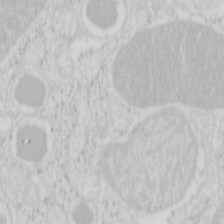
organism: Mouse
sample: Pancreas